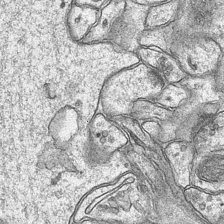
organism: Mouse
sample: CA1 Hippocampus